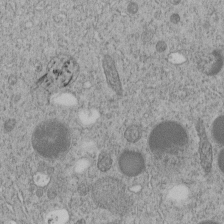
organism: C. elegans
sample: C. elegans embryo early stage